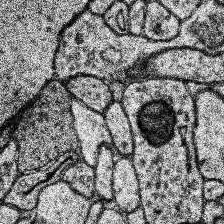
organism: Human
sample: Temporal Lobe